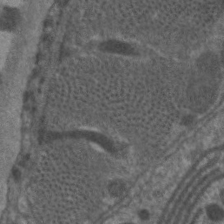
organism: C. elegans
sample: Pharynx